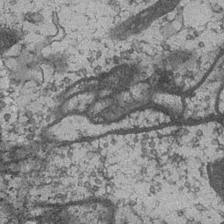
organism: Drosophila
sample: Optic medulla